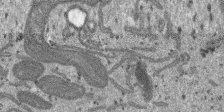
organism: Human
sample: Lung epithelial cells infected with SARS-CoV-2